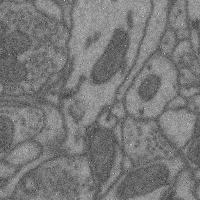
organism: Mouse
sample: Cerebral cortex